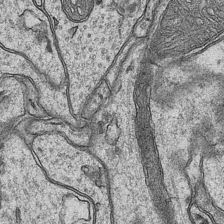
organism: Mouse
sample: CA1 Hippocampus